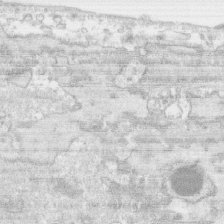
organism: Human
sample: CRL-1474